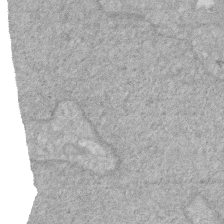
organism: Human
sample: HIV infected U937 cells